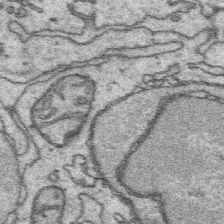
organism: Platynereis dumerilii